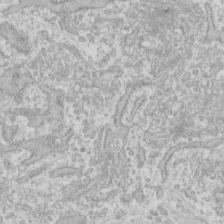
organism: Human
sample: Fibroblast cells